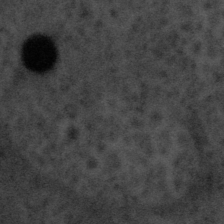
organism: Tuwongella immobilis